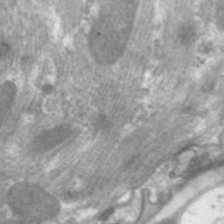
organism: C. elegans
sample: Pharynx